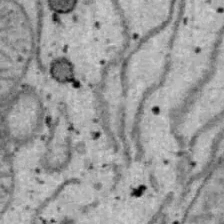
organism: Mouse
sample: Liver from an obese (ob/ob) mouse